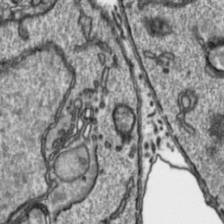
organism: Toxoplasma gondii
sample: Parasites in a vacuole inside a host cell